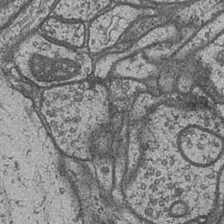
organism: Drosophila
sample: Optic medulla